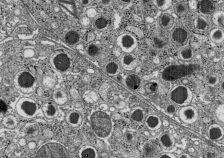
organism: C57BL Mouse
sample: Pancreatic islet